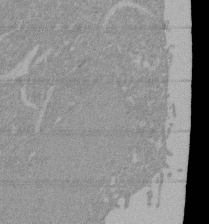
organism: Mouse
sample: ED-1 cell nuclei; centrioles